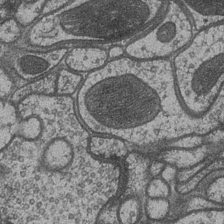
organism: Drosophila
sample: Optic medulla